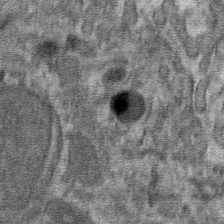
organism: Mouse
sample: Mouse hepatocytes